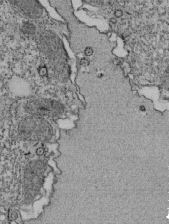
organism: Tetrahymena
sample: Cilia in tetrahymena